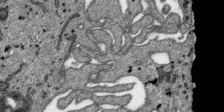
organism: Human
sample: Lung epithelial cells, uninfected (mock) control